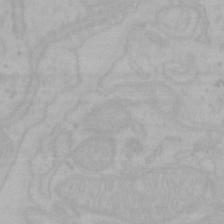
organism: Mouse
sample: Choroid plexus